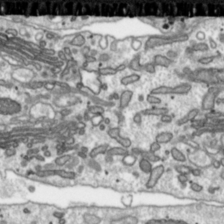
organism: Toxoplasma gondii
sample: Parasites in a vacuole inside a host cell